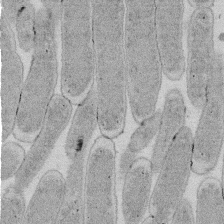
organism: E. coli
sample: Bacterial nucleoid